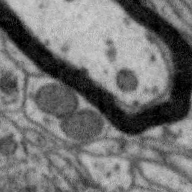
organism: Zebra finch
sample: Brain